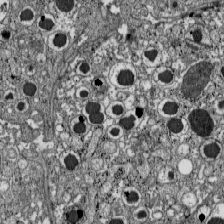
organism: C57BL Mouse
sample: Pancreatic islet